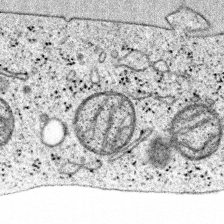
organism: Human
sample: HeLa cells